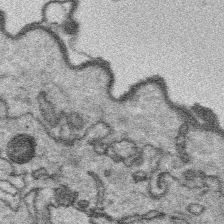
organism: Platynereis dumerilii